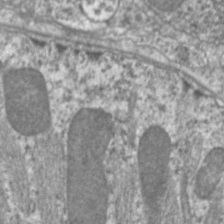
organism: C. elegans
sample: Pharynx